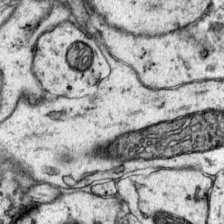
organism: Mouse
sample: Primary visual cortex